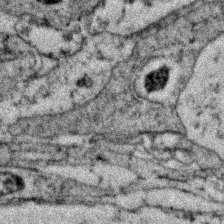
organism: Zebrafish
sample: Zebrafish embryo